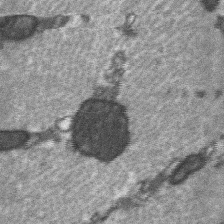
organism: C57BL Mouse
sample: Soleus